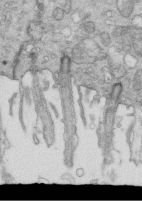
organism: Mouse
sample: Multiciliated cells